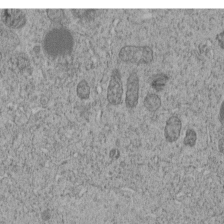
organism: C. elegans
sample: C. elegans embryo early stage